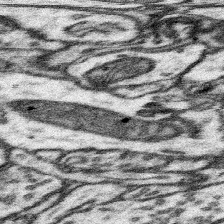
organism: Mouse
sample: Somatosensory cortex neuropil